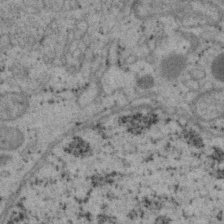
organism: Human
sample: HeLa cells